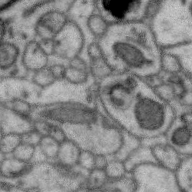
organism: Zebra finch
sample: Brain